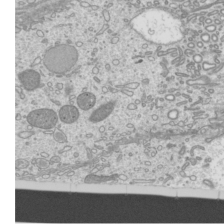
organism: Mouse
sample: Cilia; mouse epididymis